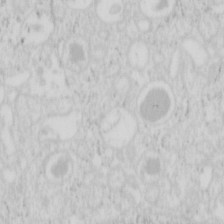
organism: Mouse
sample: Pancreas